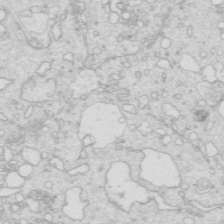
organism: Mouse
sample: Multiciliated cells